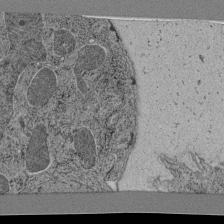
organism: C. elegans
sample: C. elegans pharynx